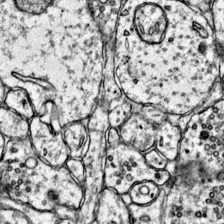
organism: Mouse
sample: Primary visual cortex